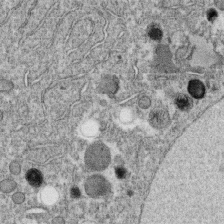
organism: C. elegans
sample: C. elegans oocyte; sperm cells